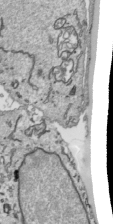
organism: Human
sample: Mitochondria in HCT116 cells